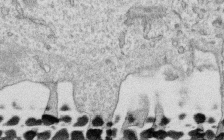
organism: Human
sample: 1205lu cells